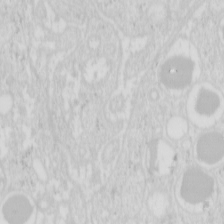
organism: Mouse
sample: Pancreas